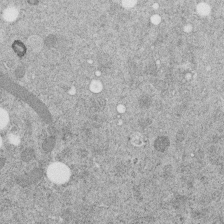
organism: C. elegans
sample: C. elegans embryo early stage